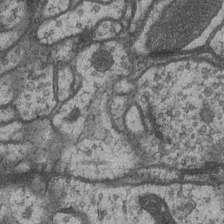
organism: Drosophila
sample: Optic medulla